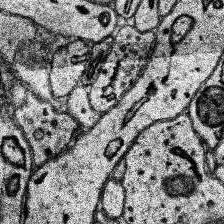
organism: Human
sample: Temporal Lobe